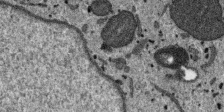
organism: Human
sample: Lung epithelial cells, uninfected (mock) control